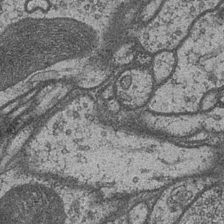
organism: Drosophila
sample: Optic medulla